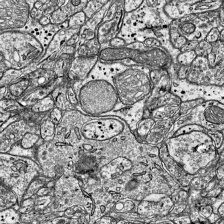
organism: Mouse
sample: Visual Cortex